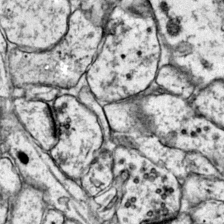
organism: Mouse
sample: Primary visual cortex